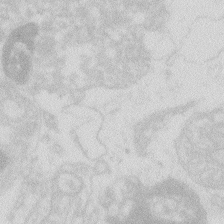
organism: Zebrafish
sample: Macrophage